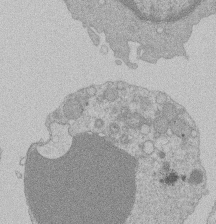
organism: Mouse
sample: Activated Pmel transgenic CD8+ T Cells